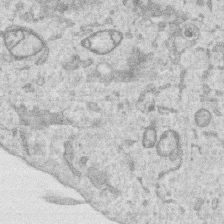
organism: Human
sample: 1205lu cells